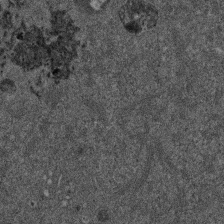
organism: Mouse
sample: Dividing mouse embryo 1 cell stage